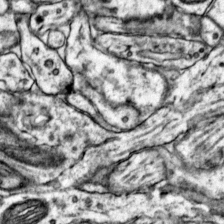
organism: Mouse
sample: Primary visual cortex